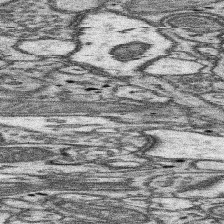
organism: Mouse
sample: Somatosensory cortex neuropil